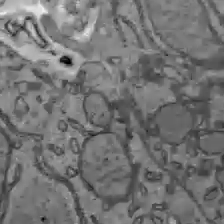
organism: C57BL Mouse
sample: Liver